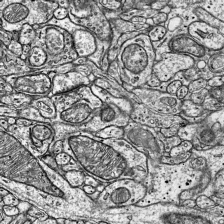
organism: Mouse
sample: Visual Cortex